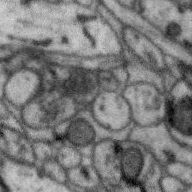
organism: Zebra finch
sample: Brain